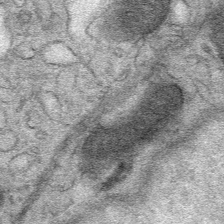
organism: Mouse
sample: Mouse Salivary gland